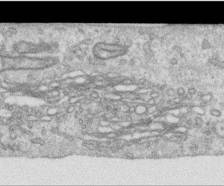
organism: Human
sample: Centriole in RPE cells